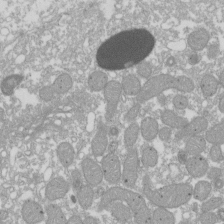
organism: Xenopus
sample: Cilia; centrioles in frog embryo cells